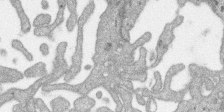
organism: Human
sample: Lung epithelial cells infected with SARS-CoV-2